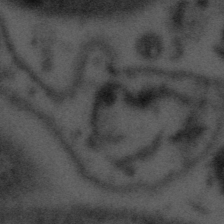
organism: Tuwongella immobilis